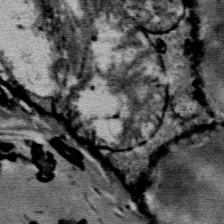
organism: Mouse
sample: Mouse Salivary gland